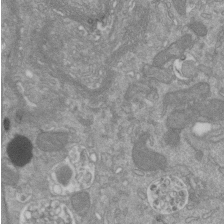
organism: Mouse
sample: ED-1 cell nuclei; centrioles